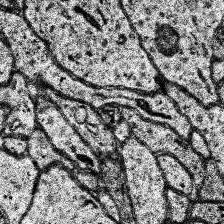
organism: Human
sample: Temporal Lobe